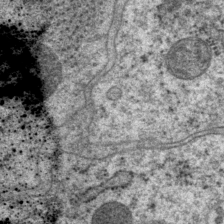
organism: P. pacificus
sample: Pharynx